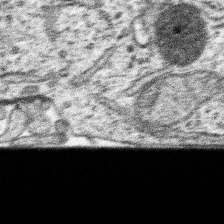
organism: Human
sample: HeLa cells